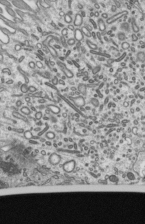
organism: Mouse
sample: Mouse epididymis efferent ductule cilia